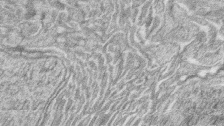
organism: Zebrafish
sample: synaptic ribbons in rod cells and cone cells